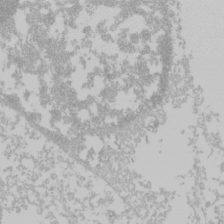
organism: Mouse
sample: Cancer cell death in ED-1 cells